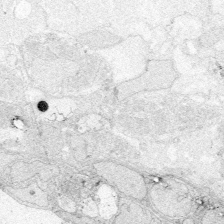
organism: Zebrafish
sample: Whole-Brain